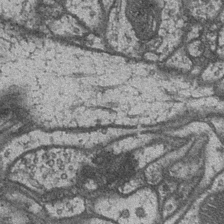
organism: Drosophila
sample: Optic medulla